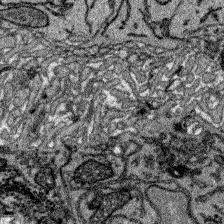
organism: Zebrafish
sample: Larval olfactory bulb